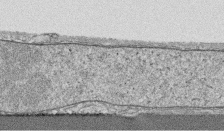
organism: Human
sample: CRL-1474